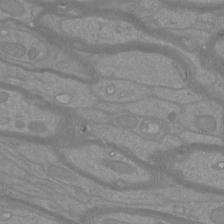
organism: Mouse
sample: Cortical neurons